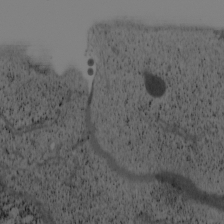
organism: African green monkey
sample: COS-7 cells